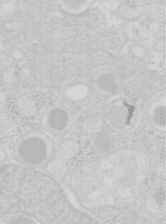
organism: Mouse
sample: Pancreas